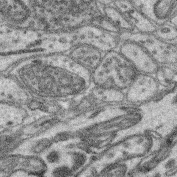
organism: Mouse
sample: Retina